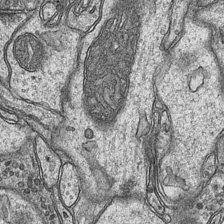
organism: Mouse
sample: CA1 Hippocampus